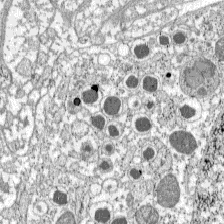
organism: C57BL Mouse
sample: Pancreatic islet